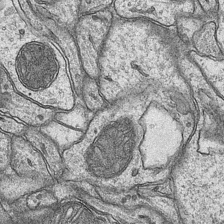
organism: Mouse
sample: CA1 Hippocampus